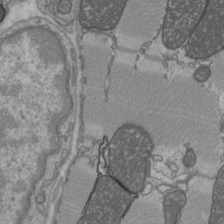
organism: C57BL Mouse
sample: Heart